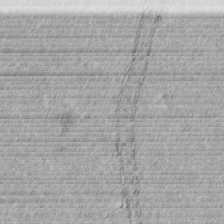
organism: C. elegans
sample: C. elegans embryo early stage